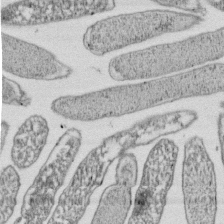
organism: E. coli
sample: Bacterial nucleoid